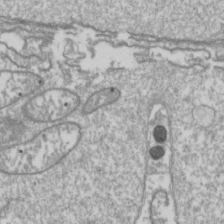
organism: Drosophila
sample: Cell division; meiosis; drosophila spermatocytes